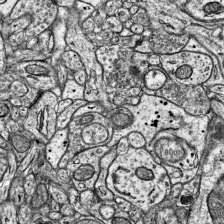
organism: Mouse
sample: Visual Cortex